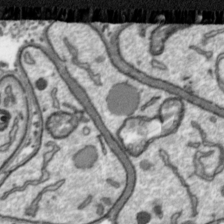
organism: Toxoplasma gondii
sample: Parasites in a vacuole inside a host cell